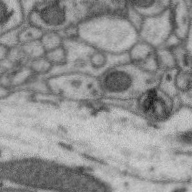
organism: Zebra finch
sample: Brain